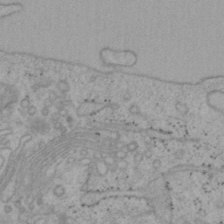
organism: Human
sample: HeLa cells